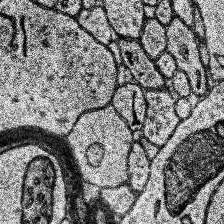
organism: Human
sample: Temporal Lobe